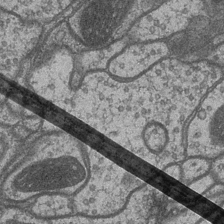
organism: Drosophila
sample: Optic medulla